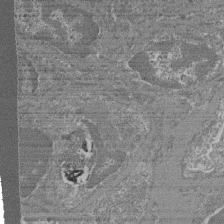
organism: Mouse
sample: Glomerulus